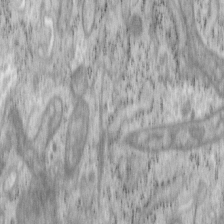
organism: Human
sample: HeLa cells